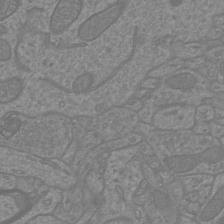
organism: Mouse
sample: Cortical neurons